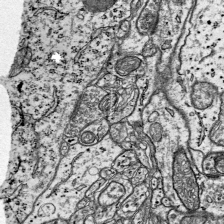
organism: Mouse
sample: Visual Cortex